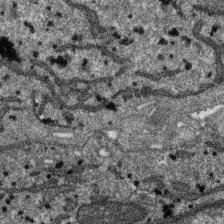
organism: Human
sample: Lung epithelial cells infected with SARS-CoV-2